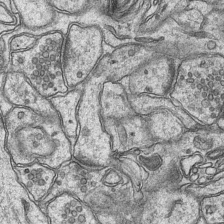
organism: Mouse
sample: CA1 Hippocampus